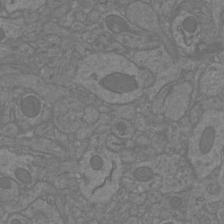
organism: Mouse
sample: Cortical neurons